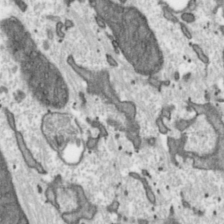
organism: Toxoplasma gondii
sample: Parasites in a vacuole inside a host cell